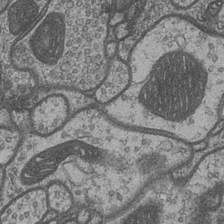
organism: Drosophila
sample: Optic medulla